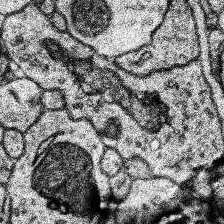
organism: Human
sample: Temporal Lobe